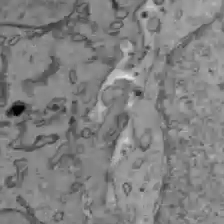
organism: C57BL Mouse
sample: Liver